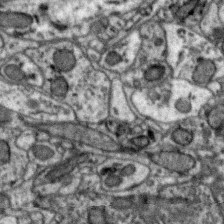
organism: Zebra finch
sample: Brain